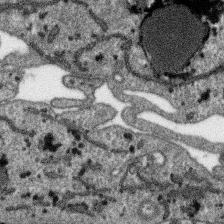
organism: Human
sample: Lung epithelial cells infected with SARS-CoV-2